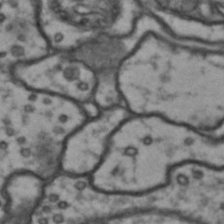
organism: Drosophila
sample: Brain